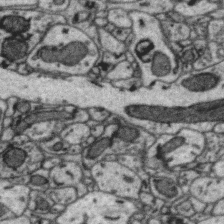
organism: Zebra finch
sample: Brain